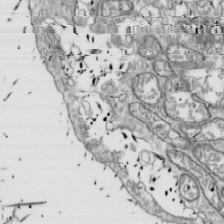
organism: Drosophila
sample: Cell division; meiosis; drosophila spermatocytes